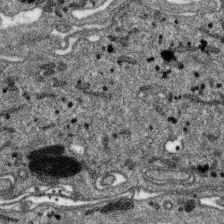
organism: Human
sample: Lung epithelial cells infected with SARS-CoV-2